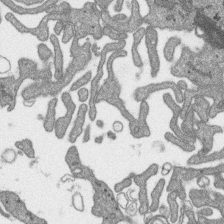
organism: Human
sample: Lung epithelial cells infected with SARS-CoV-2